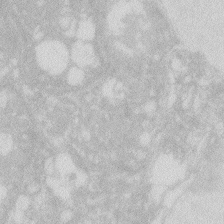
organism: Zebrafish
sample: Macrophage